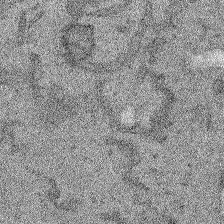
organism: Human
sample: HeLa cells